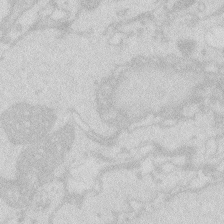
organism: Zebrafish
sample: Macrophage